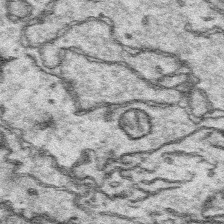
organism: Platynereis dumerilii